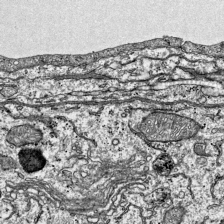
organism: Mouse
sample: Visual Cortex